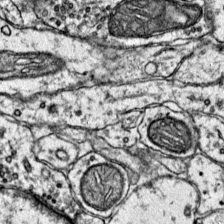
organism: Mouse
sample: Primary visual cortex